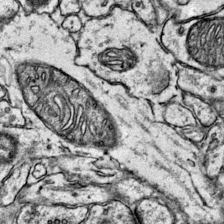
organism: Mouse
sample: Primary visual cortex